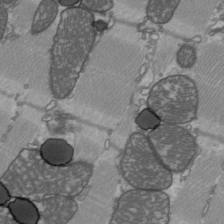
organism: C57BL Mouse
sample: Heart